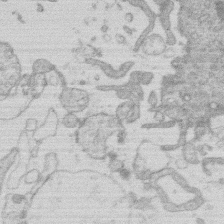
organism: Human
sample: Macrophage cells